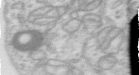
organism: Human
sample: Centriole in RPE cells